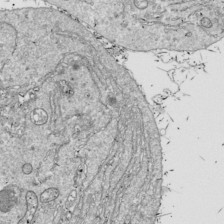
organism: Drosophila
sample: Cell division; meiosis; drosophila spermatocytes